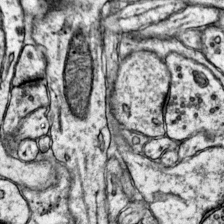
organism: Mouse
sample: Primary visual cortex